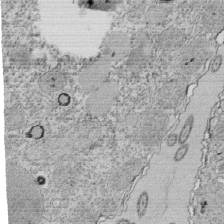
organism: Tetrahymena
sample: Cilia in tetrahymena